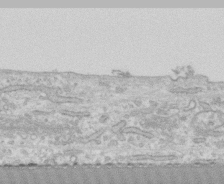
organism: Human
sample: CRL-1474